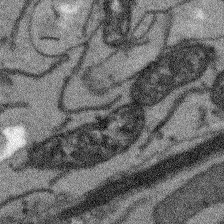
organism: Arabidopsis thaliana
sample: Root tip